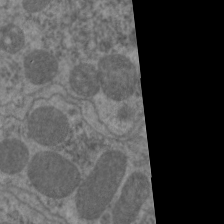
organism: C. elegans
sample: Pharynx